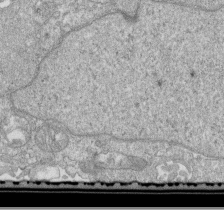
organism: Human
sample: HeLa cell HIV synapse